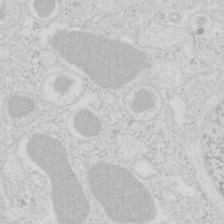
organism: Mouse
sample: Pancreas